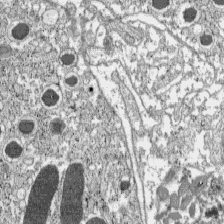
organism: C57BL Mouse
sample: Pancreatic islet